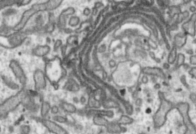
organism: Toxoplasma gondii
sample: Parasites in a vacuole inside a host cell